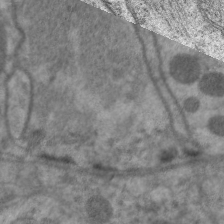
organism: C. elegans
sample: Pharynx